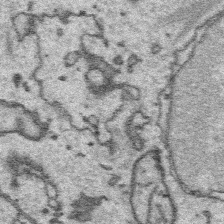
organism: Platynereis dumerilii